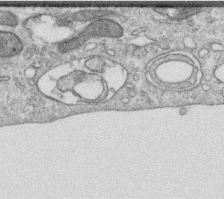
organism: Human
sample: Centriole in RPE cells